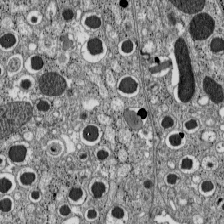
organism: C57BL Mouse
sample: Pancreatic islet